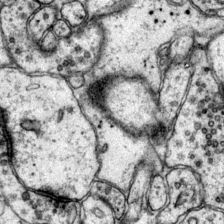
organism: Mouse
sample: Primary visual cortex